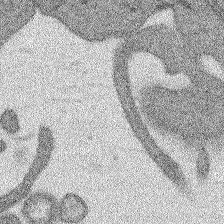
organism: Human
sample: HeLa cells